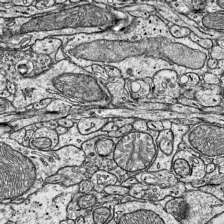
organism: Mouse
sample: Visual Cortex